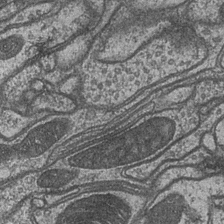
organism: Drosophila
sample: Optic medulla